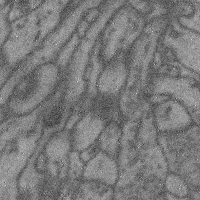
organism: Mouse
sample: Cerebral cortex